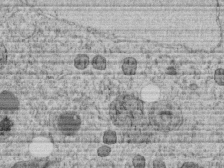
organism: C. elegans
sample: C. elegans embryo early stage